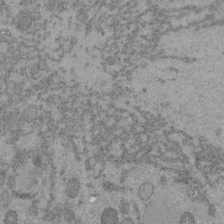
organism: C. elegans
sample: C. elegans embryo early stage